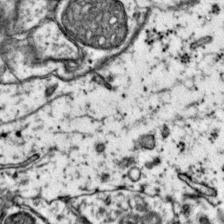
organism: Mouse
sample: Primary visual cortex